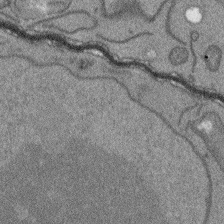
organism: Arabidopsis thaliana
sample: Root tip